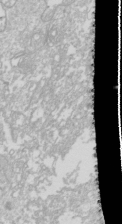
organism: Drosophila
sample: Cell division; meiosis; drosophila spermatocytes